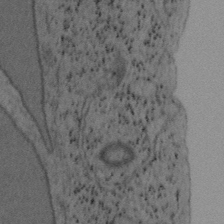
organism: Human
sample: HeLa cells